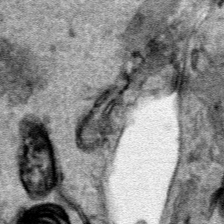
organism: Human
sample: Mitochondria in HCT116 cells